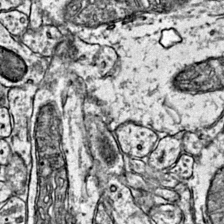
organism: Mouse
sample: Primary visual cortex